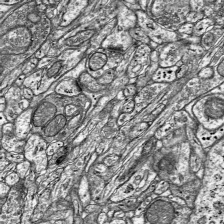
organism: Mouse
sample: Visual Cortex